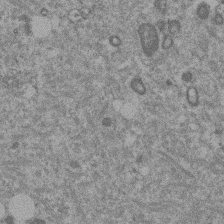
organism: Mouse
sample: Dividing mouse embryo 1 cell stage